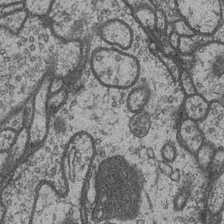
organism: Drosophila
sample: Optic medulla